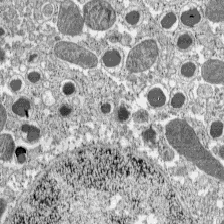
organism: C57BL Mouse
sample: Pancreatic islet